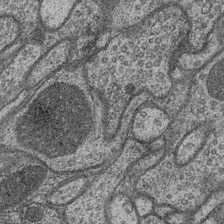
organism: Drosophila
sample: Optic medulla